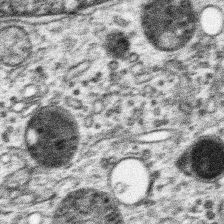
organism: Human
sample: HeLa cells